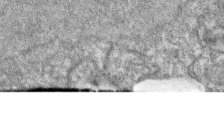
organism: Zebrafish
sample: Cilia; retinal pigment epithelium